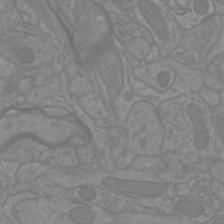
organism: Mouse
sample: Cortical neurons